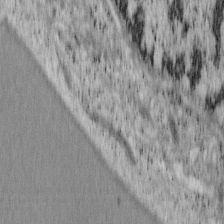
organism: Human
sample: HeLa cells